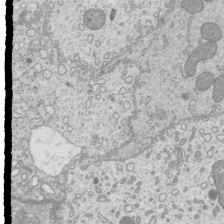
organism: Mouse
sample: Cilia; mouse epididymis